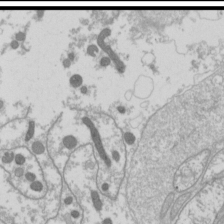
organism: Drosophila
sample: Cell division; meiosis; drosophila spermatocytes